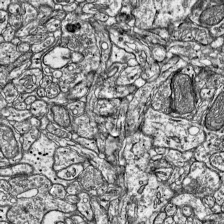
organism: Mouse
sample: Visual Cortex